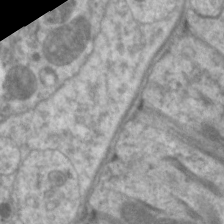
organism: C. elegans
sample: Pharynx